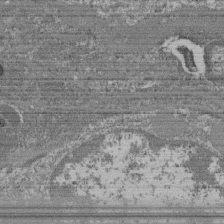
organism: Mouse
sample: Glomerulus